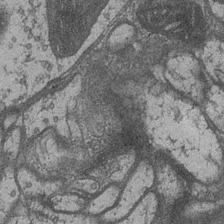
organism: Drosophila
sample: Optic medulla